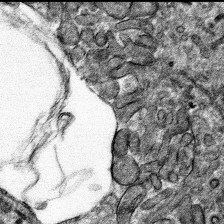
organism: Mouse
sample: Mouse hepatocytes